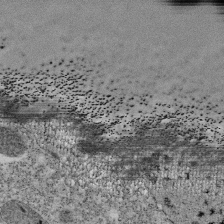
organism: Tetrahymena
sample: Cilia in tetrahymena